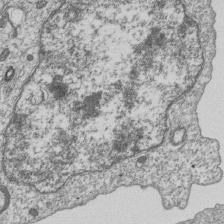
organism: Human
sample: MDA-MB-231 cells